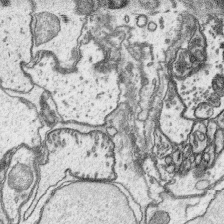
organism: Platynereis dumerilii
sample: Parapodia